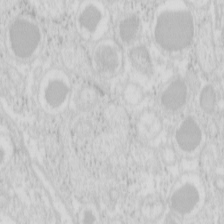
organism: Mouse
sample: Pancreas